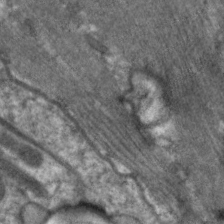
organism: C. elegans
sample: Pharynx